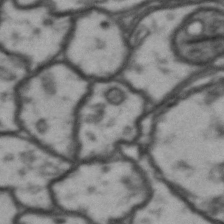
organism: Drosophila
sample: Brain